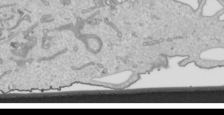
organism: Human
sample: Mitochondria in HCT116 cells